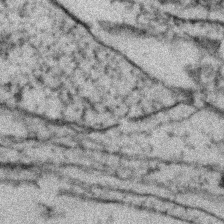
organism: Zebrafish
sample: Zebrafish embryo